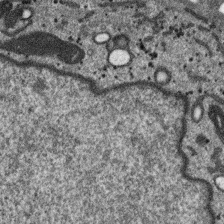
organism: Human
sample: Lung epithelial cells infected with SARS-CoV-2